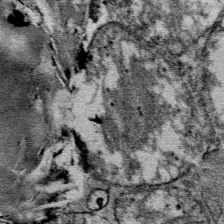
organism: Mouse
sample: Mouse Salivary gland